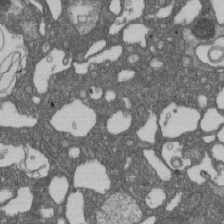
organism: Drosophila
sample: Nephrocyte